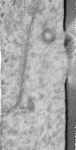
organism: Human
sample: Centriole in RPE cells